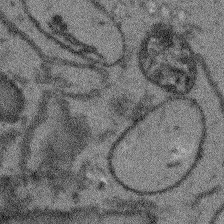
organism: Arabidopsis thaliana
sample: Root tip